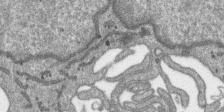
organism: Human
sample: Lung epithelial cells infected with SARS-CoV-2